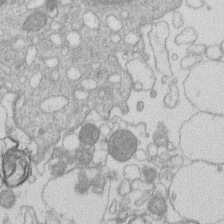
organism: Human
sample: Macrophage cells